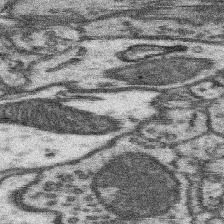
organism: Mouse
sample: Somatosensory cortex neuropil